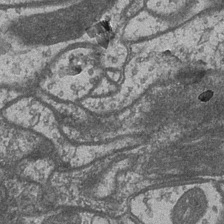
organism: Drosophila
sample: Optic medulla